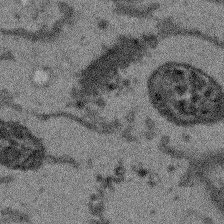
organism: Arabidopsis thaliana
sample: Root tip